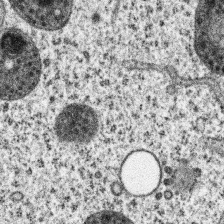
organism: Human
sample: HeLa cells